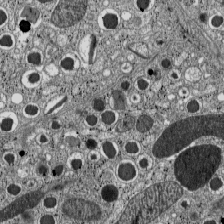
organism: C57BL Mouse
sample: Pancreatic islet